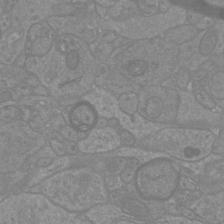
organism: Mouse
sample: Cortical neurons